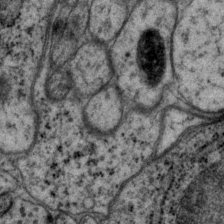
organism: P. pacificus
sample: Pharynx